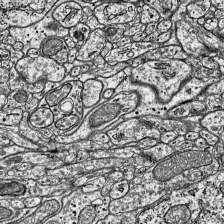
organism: Mouse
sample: Visual Cortex